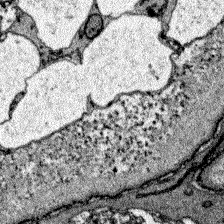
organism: Zebrafish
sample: Larval olfactory bulb